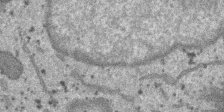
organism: Human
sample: Lung epithelial cells infected with SARS-CoV-2